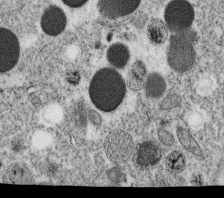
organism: C. elegans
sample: C. elegans oocyte; sperm cells